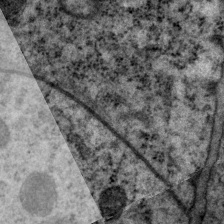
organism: P. pacificus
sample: Pharynx